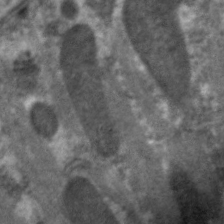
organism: C. elegans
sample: Pharynx